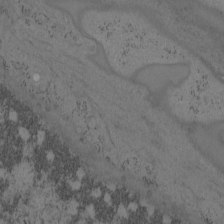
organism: Mouse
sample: OT-I killer T cells with ID8 ovarian cancer cells